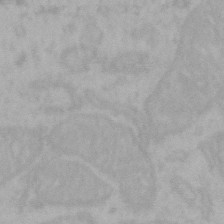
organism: Mouse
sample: Choroid plexus